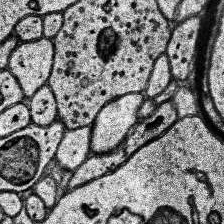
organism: Human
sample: Temporal Lobe